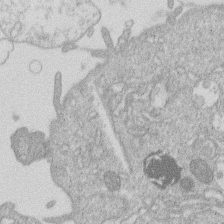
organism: Human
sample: Macrophage cells